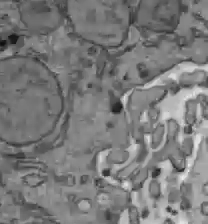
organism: C57BL Mouse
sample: Liver